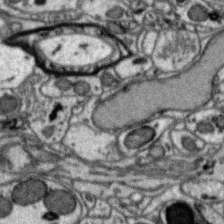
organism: Zebra finch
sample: Brain